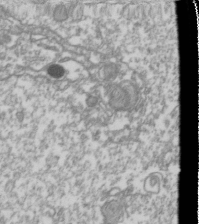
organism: Drosophila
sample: Cell division; meiosis; drosophila spermatocytes